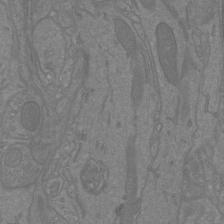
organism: Mouse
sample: Cortical neurons